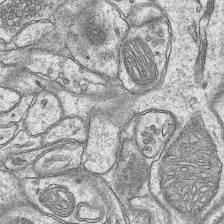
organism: Mouse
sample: CA1 Hippocampus